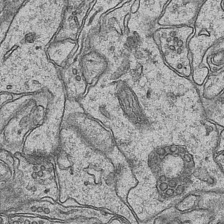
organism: Mouse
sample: CA1 Hippocampus